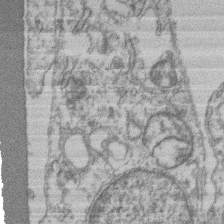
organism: Mouse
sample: T cell stromal cell synapse